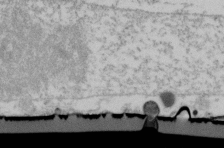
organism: Human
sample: U2-OS cells